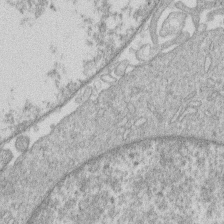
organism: Human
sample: Macrophage cells